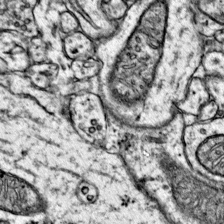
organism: Mouse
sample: Primary visual cortex